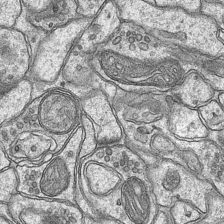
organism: Mouse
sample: CA1 Hippocampus